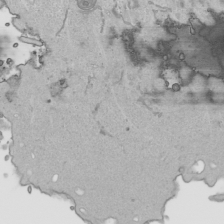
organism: Human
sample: Mitochondria in HCT116 cells